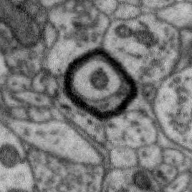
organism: Zebra finch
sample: Brain